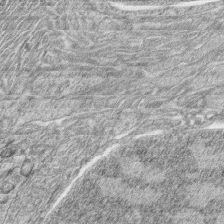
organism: Zebrafish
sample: synaptic ribbons in rod cells and cone cells